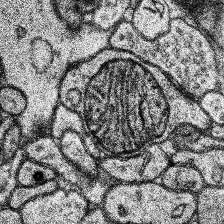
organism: Human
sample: Temporal Lobe